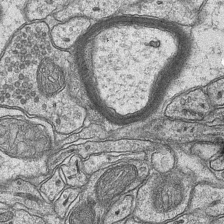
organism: Mouse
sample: CA1 Hippocampus